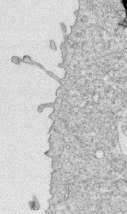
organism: Human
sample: HeLa cell HIV synapse